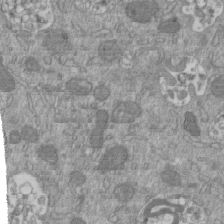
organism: Mouse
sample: ED-1 cell nuclei; centrioles